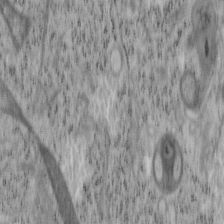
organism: Human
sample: HeLa cells